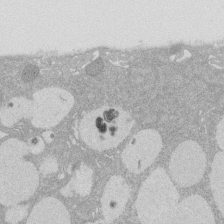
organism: Rat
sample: Salivary granule